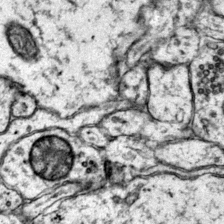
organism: Mouse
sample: Primary visual cortex